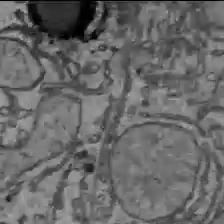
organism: C57BL Mouse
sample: Liver